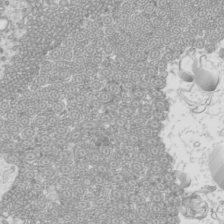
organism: Mouse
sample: Cilia; mouse epididymis